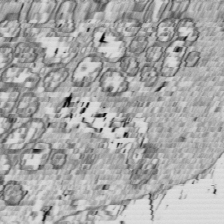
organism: Drosophila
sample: Cell division; meiosis; drosophila spermatocytes